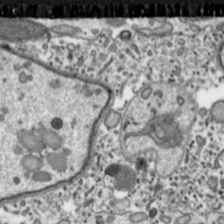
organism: Toxoplasma gondii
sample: Parasites in a vacuole inside a host cell